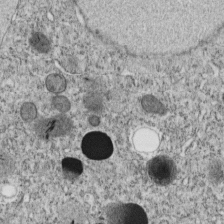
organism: C. elegans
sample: C. elegans embryo early stage